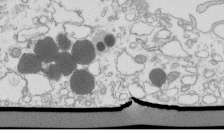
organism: Mouse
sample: Macrophages